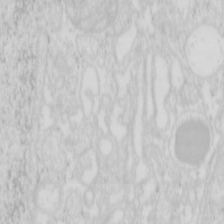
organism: Mouse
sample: Pancreas